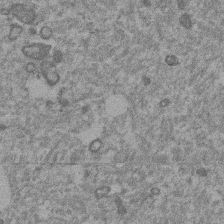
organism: Mouse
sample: Dividing mouse embryo 1 cell stage